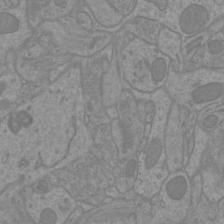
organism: Mouse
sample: Cortical neurons